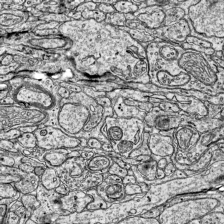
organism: Mouse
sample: Visual Cortex